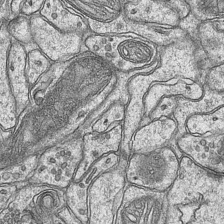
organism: Mouse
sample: CA1 Hippocampus